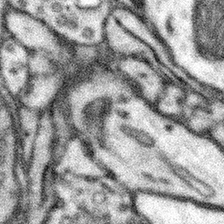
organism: Mouse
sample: Somatosensory cortex neuropil